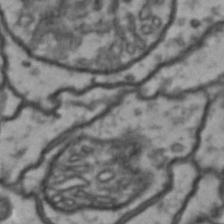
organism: Drosophila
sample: Brain